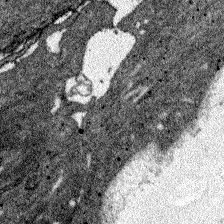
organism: Zebrafish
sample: Larval olfactory bulb